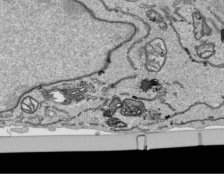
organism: Human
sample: Mitochondria in HCT116 cells